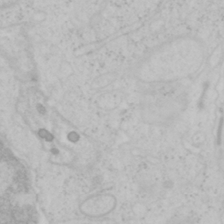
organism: Mouse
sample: OT-I killer T cells with ID8 ovarian cancer cells